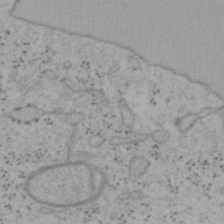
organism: Human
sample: HeLa cells